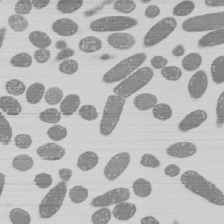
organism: E. coli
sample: Bacterial nucleoid